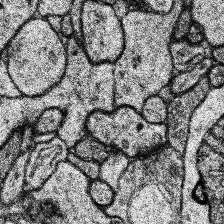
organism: Human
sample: Temporal Lobe